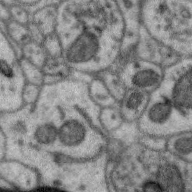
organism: Zebra finch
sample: Brain